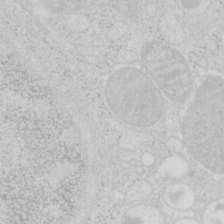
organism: Mouse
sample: Pancreas